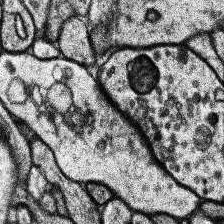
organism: Human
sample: Temporal Lobe